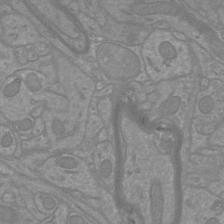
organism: Mouse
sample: Cortical neurons